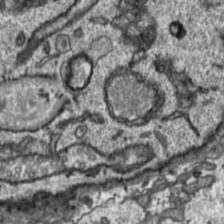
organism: Toxoplasma gondii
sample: Parasites in a vacuole inside a host cell